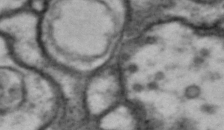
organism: Drosophila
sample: Brain